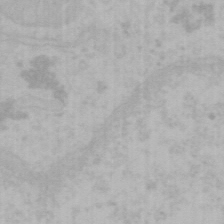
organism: Mouse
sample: Choroid plexus